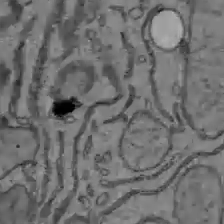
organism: C57BL Mouse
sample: Liver